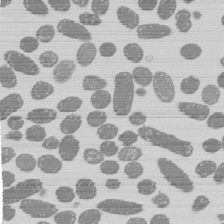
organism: E. coli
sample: Bacterial nucleoid